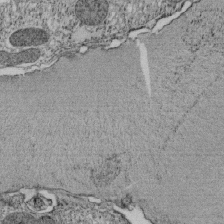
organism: Tetrahymena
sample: Cilia in tetrahymena